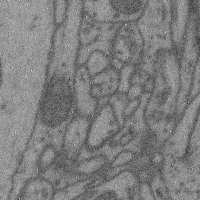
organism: Mouse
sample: Cerebral cortex